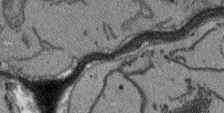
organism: Arabidopsis thaliana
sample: Root tip